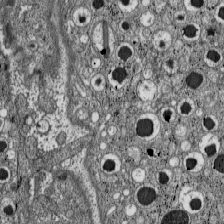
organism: C57BL Mouse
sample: Pancreatic islet